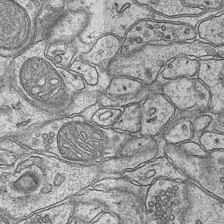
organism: Mouse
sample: CA1 Hippocampus